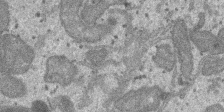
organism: Human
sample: Lung epithelial cells infected with SARS-CoV-2